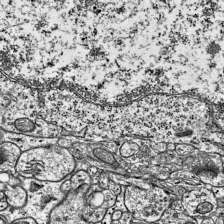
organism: Mouse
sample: Visual Cortex